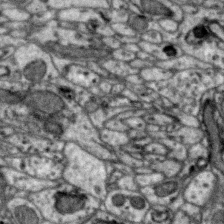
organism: Zebra finch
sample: Brain